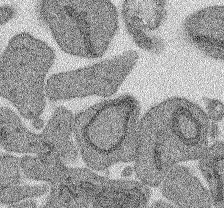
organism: Human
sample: HeLa cells